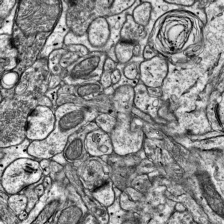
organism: Mouse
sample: Visual Cortex